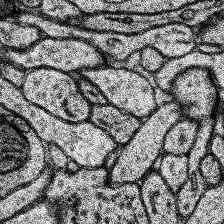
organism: Human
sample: Temporal Lobe